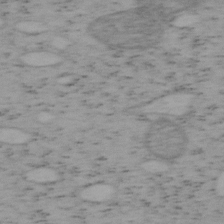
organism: Mouse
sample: OT-I killer T cells with ID8 ovarian cancer cells